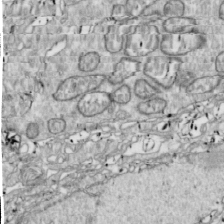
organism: Drosophila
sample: Cell division; meiosis; drosophila spermatocytes